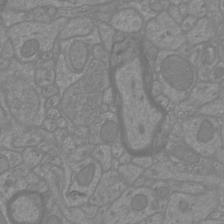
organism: Mouse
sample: Cortical neurons